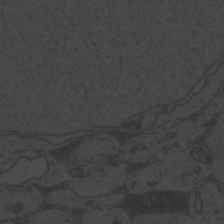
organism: Zebrafish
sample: Macrophage infected with Toxoplasma gondii